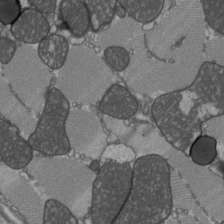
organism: C57BL Mouse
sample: Heart